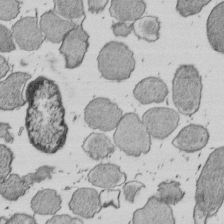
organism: E. coli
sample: Bacterial nucleoid